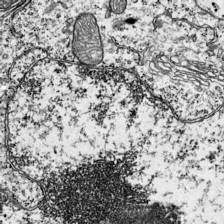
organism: Mouse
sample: Visual Cortex